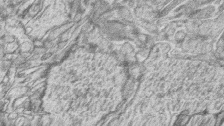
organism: Zebrafish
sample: synaptic ribbons in rod cells and cone cells